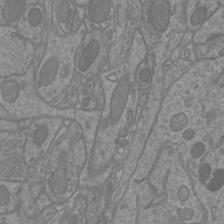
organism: Mouse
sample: Cortical neurons